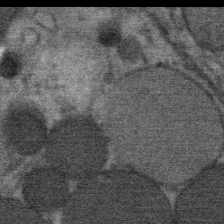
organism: Mouse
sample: Mouse Salivary gland